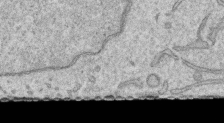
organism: Human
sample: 1205lu cells